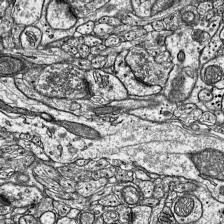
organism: Mouse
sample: Visual Cortex